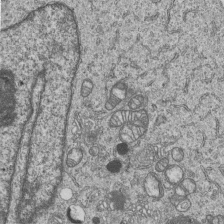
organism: Human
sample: MDA-MB-231 cells